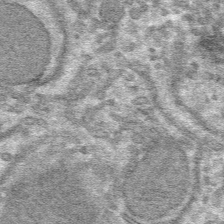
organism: Mouse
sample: Mouse hepatocytes